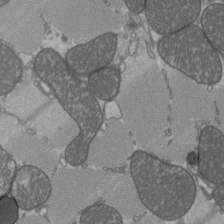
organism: C57BL Mouse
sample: Heart